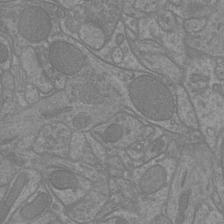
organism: Mouse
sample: Cortical neurons